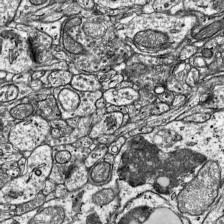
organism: Mouse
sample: Visual Cortex